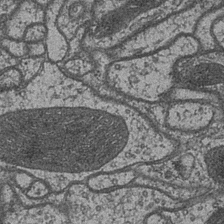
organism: Drosophila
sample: Optic medulla